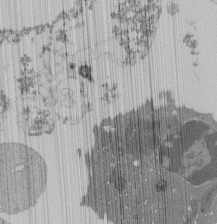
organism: Mouse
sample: Activated Pmel transgenic CD8+ T Cells